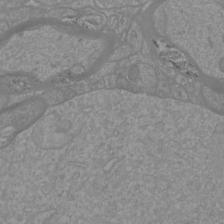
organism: Mouse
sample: Cortical neurons